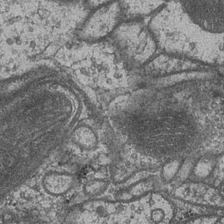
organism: Drosophila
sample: Optic medulla